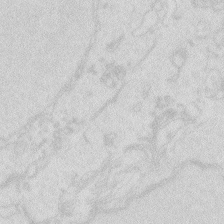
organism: Zebrafish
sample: Macrophage